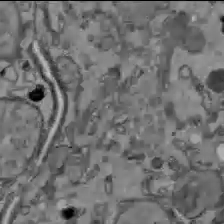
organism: C57BL Mouse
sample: Liver